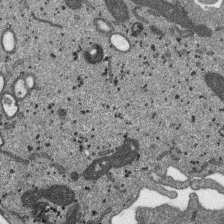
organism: Human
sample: Lung epithelial cells infected with SARS-CoV-2